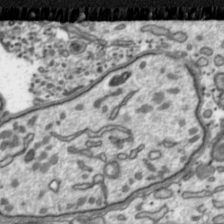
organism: Toxoplasma gondii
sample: Parasites in a vacuole inside a host cell